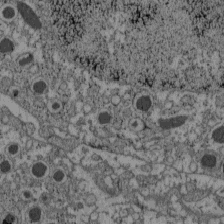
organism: C57BL Mouse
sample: Pancreatic islet